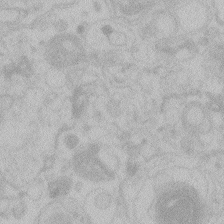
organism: Zebrafish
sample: Macrophage infected with Toxoplasma gondii